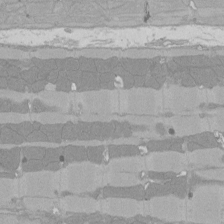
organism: Rat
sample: Left ventricle